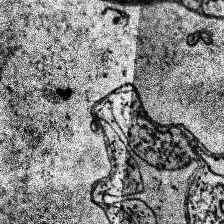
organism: Human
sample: Temporal Lobe